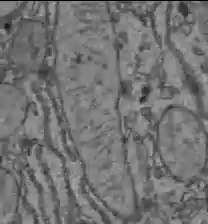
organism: C57BL Mouse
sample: Liver